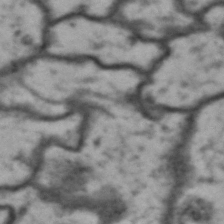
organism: Drosophila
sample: Brain